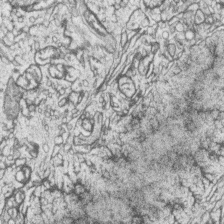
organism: Zebrafish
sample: synaptic ribbons in rod cells and cone cells